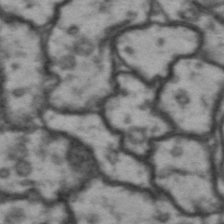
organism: Drosophila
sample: Brain